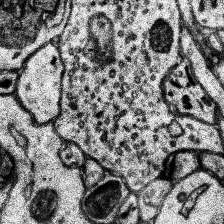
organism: Human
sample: Temporal Lobe